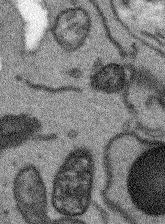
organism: Arabidopsis thaliana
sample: Root tip